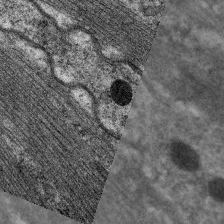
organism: C. elegans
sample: Pharynx